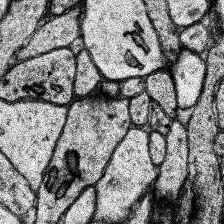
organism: Human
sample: Temporal Lobe